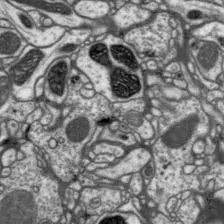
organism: Drosophila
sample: Protocerebral bridge